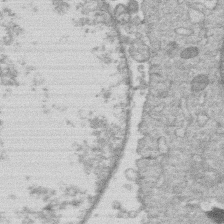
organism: Human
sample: Macrophage cells